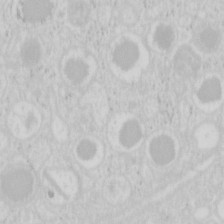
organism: Mouse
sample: Pancreas